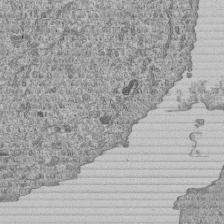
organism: Human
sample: MDA-MB-231 cells